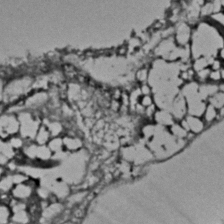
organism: C. elegans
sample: C. elegans embryo